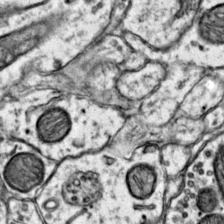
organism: Mouse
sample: Primary visual cortex